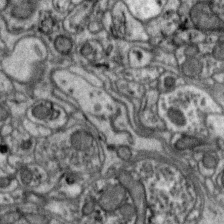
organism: Zebra finch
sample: Brain